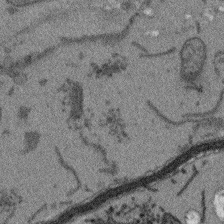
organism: Arabidopsis thaliana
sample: Root tip